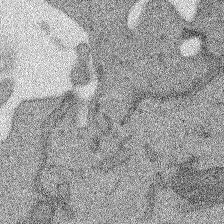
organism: Human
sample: HeLa cells